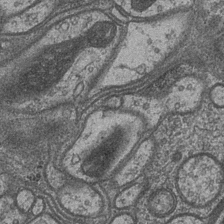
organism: Drosophila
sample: Optic medulla